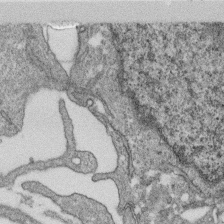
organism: African green monkey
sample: Vero E6 cells infected with SARS-CoV-2